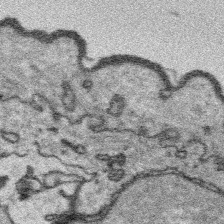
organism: Platynereis dumerilii